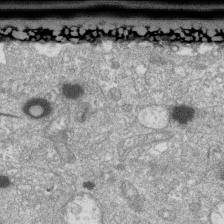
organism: Human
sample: HeLa cell HIV synapse